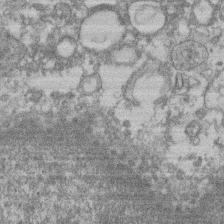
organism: Mouse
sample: T cell stromal cell synapse